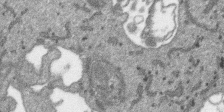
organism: Human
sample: Lung epithelial cells infected with SARS-CoV-2